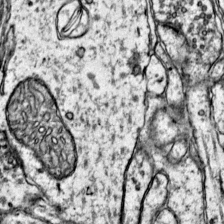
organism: Mouse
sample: Primary visual cortex